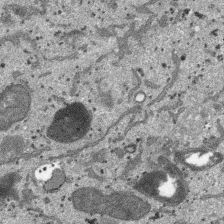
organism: Human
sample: Lung epithelial cells infected with SARS-CoV-2